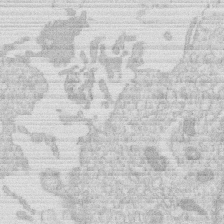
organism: Human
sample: Macrophage cells